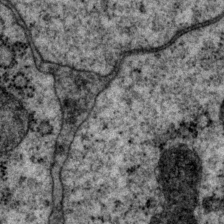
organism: P. pacificus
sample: Pharynx